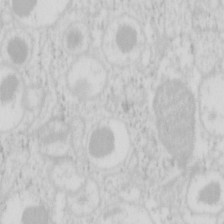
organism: Mouse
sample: Pancreas